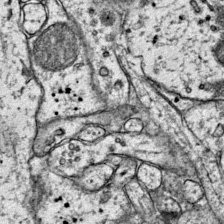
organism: Mouse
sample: Primary visual cortex